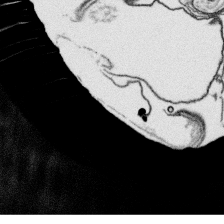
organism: Platynereis dumerilii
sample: Parapodia